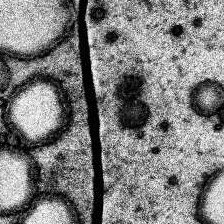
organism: Human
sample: Temporal Lobe